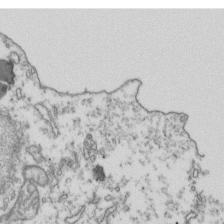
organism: Human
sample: Activated Jurkat CD4+ T cells